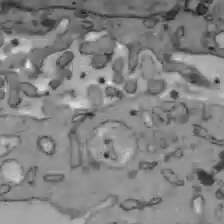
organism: C57BL Mouse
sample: Liver